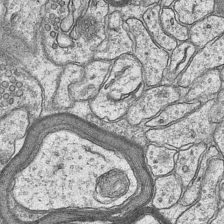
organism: Mouse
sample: CA1 Hippocampus